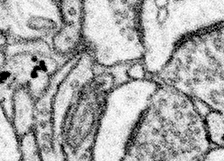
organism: Mouse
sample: Somatosensory cortex neuropil